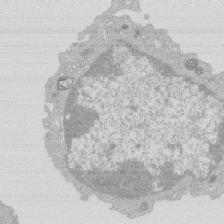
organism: Mouse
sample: Activated Pmel transgenic CD8+ T Cells